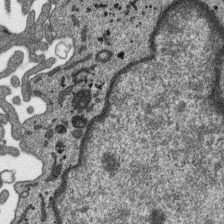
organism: Human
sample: Lung epithelial cells infected with SARS-CoV-2